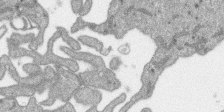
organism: Human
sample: Lung epithelial cells infected with SARS-CoV-2